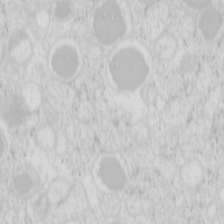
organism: Mouse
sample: Pancreas